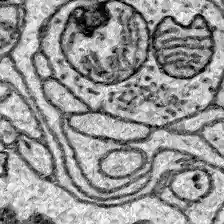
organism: Zebrafish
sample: Brain